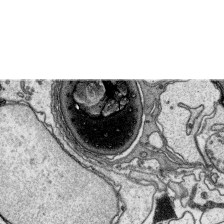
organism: Platynereis dumerilii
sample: Parapodia